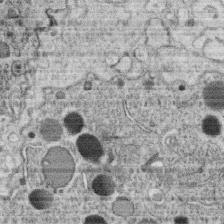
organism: C. elegans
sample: C. elegans oocyte; sperm cells